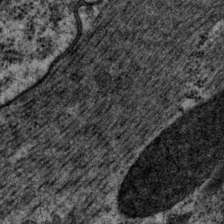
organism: P. pacificus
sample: Pharynx